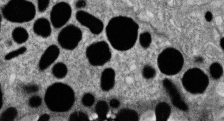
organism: Zebrafish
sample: Cilia; retinal pigment epithelium